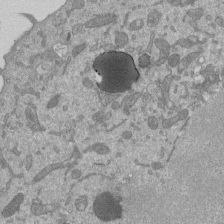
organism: Mouse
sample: ED-1 cell nuclei; centrioles